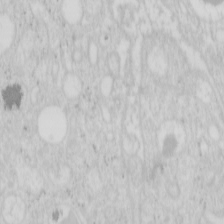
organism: Mouse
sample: Pancreas